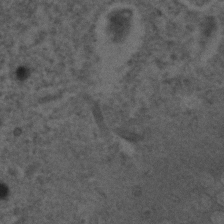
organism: C. elegans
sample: C. elegans embryo